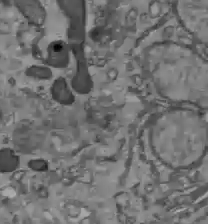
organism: C57BL Mouse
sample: Liver